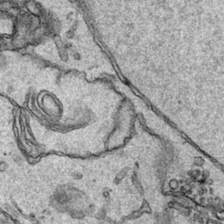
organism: Human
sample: Mitochondria in HCT116 cells